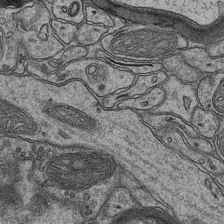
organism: Mouse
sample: CA1 Hippocampus